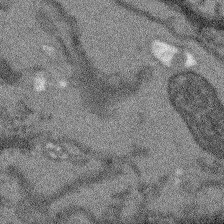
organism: Arabidopsis thaliana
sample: Root tip